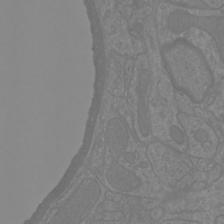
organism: Mouse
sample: Cortical neurons